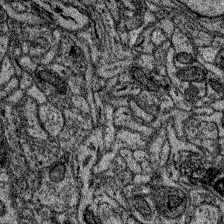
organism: Zebrafish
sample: Larval olfactory bulb